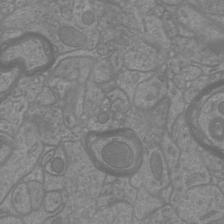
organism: Mouse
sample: Cortical neurons